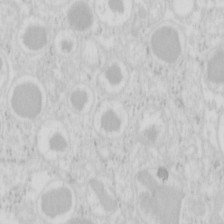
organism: Mouse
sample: Pancreas